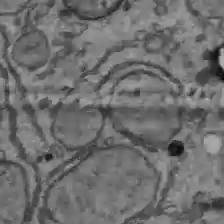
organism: C57BL Mouse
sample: Liver